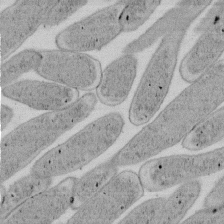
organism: E. coli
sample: Bacterial nucleoid